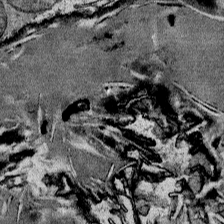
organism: Mouse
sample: Mouse Salivary gland